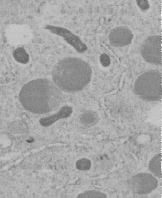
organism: C. elegans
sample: C. elegans embryo early stage